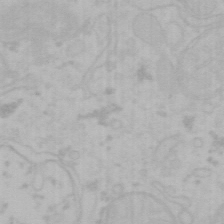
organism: Mouse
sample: Choroid plexus